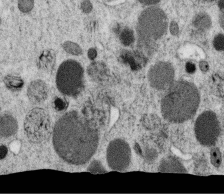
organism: C. elegans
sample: C. elegans oocyte; sperm cells